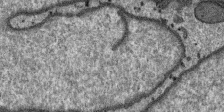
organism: Human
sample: Lung epithelial cells, uninfected (mock) control